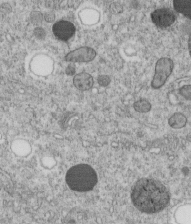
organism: C. elegans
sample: C. elegans embryo early stage